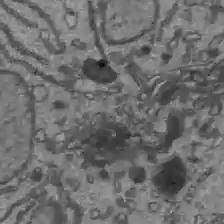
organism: C57BL Mouse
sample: Liver